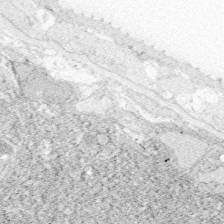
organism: Zebrafish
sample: Whole-Brain